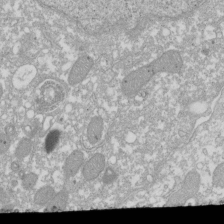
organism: Xenopus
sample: Cilia; centrioles in frog embryo cells